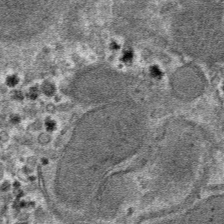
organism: Mouse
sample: Mouse hepatocytes